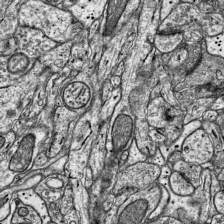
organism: Mouse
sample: Visual Cortex